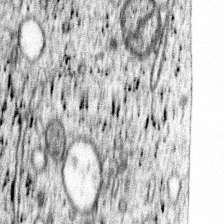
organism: Human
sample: HeLa cells